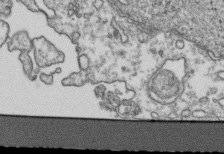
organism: Human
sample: Activated Jurkat CD4+ T cells